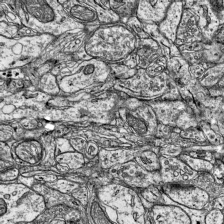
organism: Mouse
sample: Visual Cortex